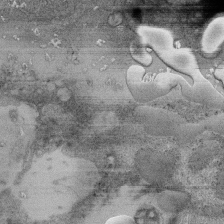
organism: Human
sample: Retinal organoid Rod and Cone cells